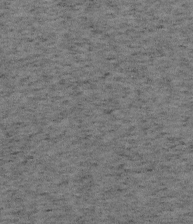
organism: Mouse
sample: OT-I killer T cells with ID8 ovarian cancer cells